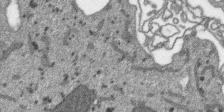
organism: Human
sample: Lung epithelial cells infected with SARS-CoV-2